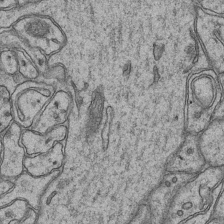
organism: Mouse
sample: CA1 Hippocampus